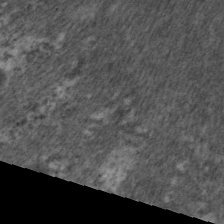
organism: C. elegans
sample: Pharynx